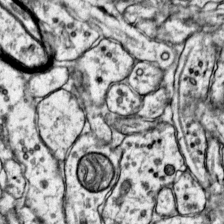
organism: Mouse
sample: Primary visual cortex